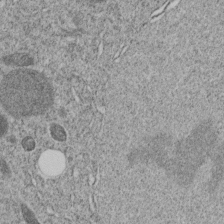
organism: C. elegans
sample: C. elegans embryo early stage